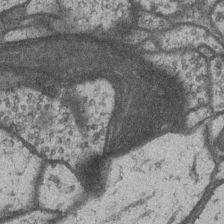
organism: Drosophila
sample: Optic medulla